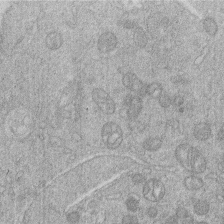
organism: Human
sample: Macrophage cells